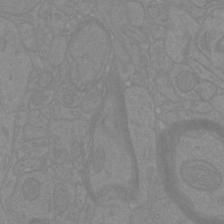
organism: Mouse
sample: Cortical neurons